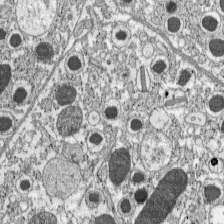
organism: C57BL Mouse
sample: Pancreatic islet